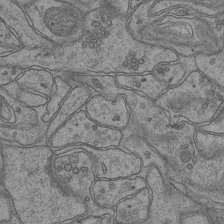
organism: Mouse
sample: CA1 Hippocampus